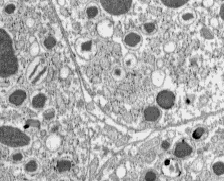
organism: C57BL Mouse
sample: Pancreatic islet